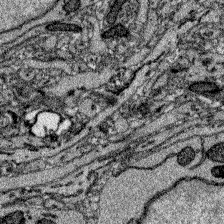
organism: Zebrafish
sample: Larval olfactory bulb